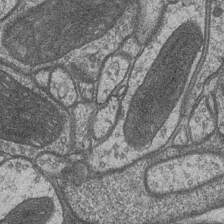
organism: Drosophila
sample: Optic medulla